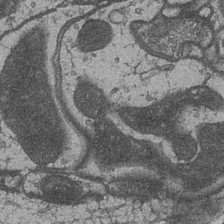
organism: Drosophila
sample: Optic medulla